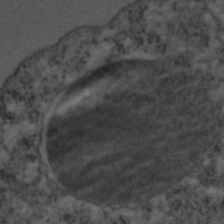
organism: C. elegans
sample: C. elegans embryo